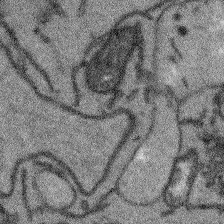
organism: Arabidopsis thaliana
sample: Root tip